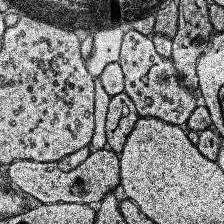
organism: Human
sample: Temporal Lobe